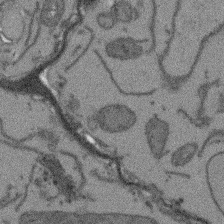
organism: Arabidopsis thaliana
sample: Root tip